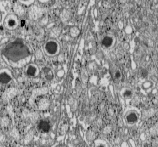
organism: C57BL Mouse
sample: Pancreatic islet